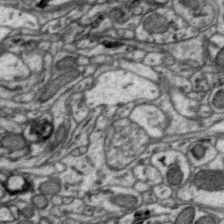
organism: Zebra finch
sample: Brain